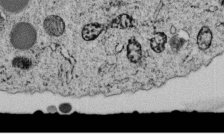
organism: C. elegans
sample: C. elegans embryo early stage